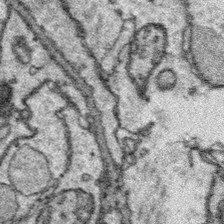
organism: Platynereis dumerilii